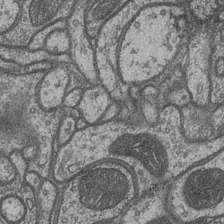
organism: Drosophila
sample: Optic medulla